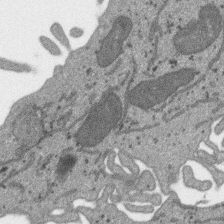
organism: Human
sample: Lung epithelial cells infected with SARS-CoV-2